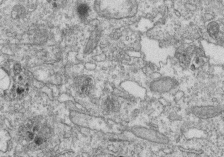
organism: Human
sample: HeLa cell HIV synapse